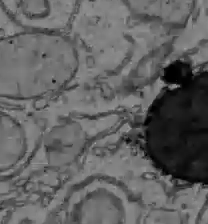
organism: C57BL Mouse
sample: Liver